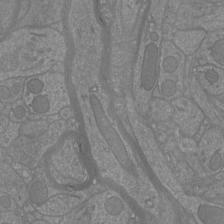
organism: Mouse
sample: Cortical neurons